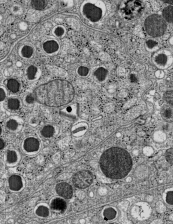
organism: C57BL Mouse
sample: Pancreatic islet